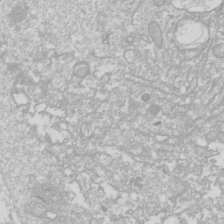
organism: Drosophila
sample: Cell division; meiosis; drosophila spermatocytes